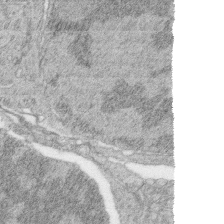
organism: Zebrafish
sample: synaptic ribbons in rod cells and cone cells